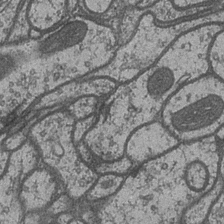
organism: Drosophila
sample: Optic medulla